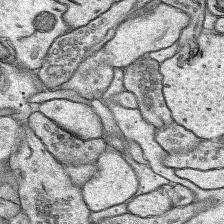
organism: Rat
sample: Hippocampus